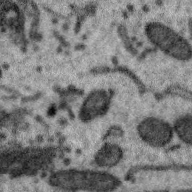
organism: Zebra finch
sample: Brain